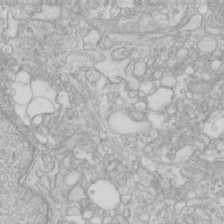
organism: Human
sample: Fibroblast cells